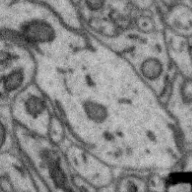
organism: Zebra finch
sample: Brain